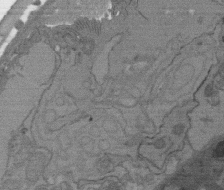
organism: C. elegans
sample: AFD neurons C. elegans